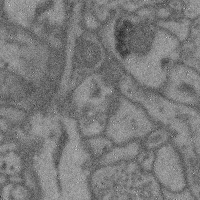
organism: Mouse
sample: Cerebral cortex